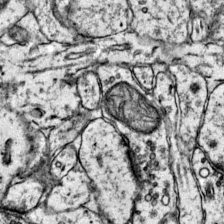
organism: Mouse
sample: Primary visual cortex